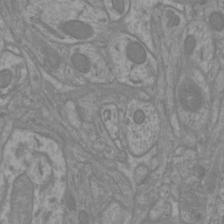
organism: Mouse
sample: Cortical neurons